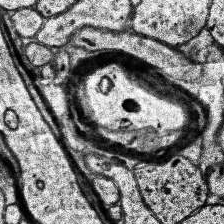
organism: Human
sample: Temporal Lobe